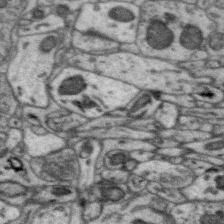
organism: Zebra finch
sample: Brain